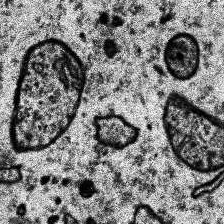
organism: Human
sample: Temporal Lobe